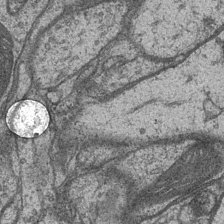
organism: Drosophila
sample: Optic medulla